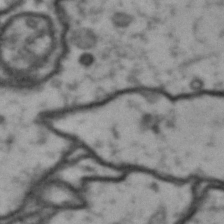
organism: Drosophila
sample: Brain